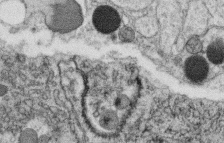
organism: C. elegans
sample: C. elegans oocyte; sperm cells